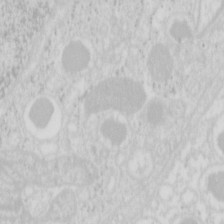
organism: Mouse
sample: Pancreas